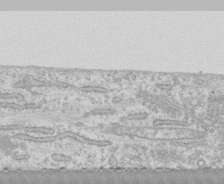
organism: Human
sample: CRL-1474